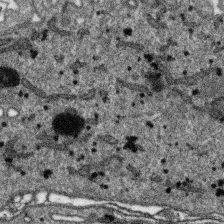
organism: Human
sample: Lung epithelial cells infected with SARS-CoV-2